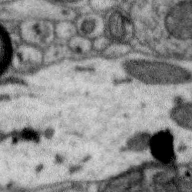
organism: Zebra finch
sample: Brain